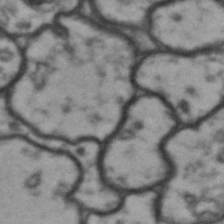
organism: Drosophila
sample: Brain